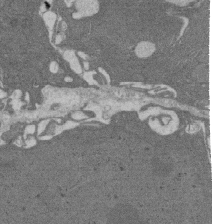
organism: Rat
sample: Salivary granule